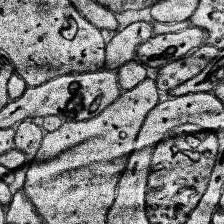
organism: Human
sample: Temporal Lobe